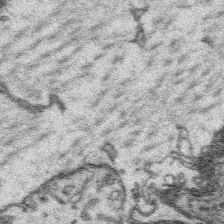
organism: Platynereis dumerilii